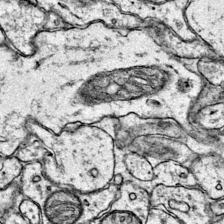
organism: Mouse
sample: Primary visual cortex